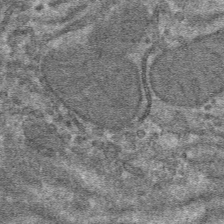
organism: Mouse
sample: Mouse hepatocytes